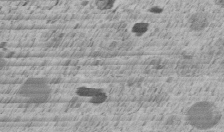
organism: C. elegans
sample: C. elegans embryo early stage